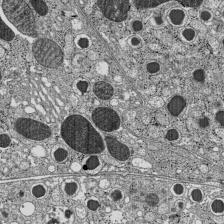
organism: C57BL Mouse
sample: Pancreatic islet